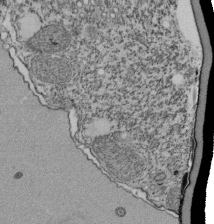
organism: Tetrahymena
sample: Cilia in tetrahymena